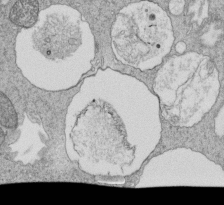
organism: Tetrahymena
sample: Cilia in tetrahymena